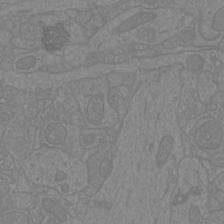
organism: Mouse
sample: Cortical neurons